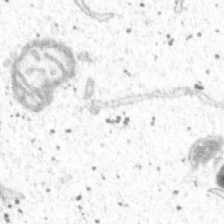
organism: Human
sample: HeLa cells